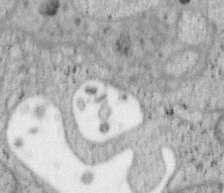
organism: Mouse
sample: OT-I killer T cells with ID8 ovarian cancer cells